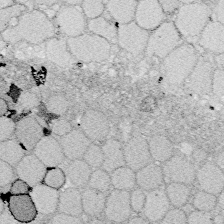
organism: Zebrafish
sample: Whole-Brain